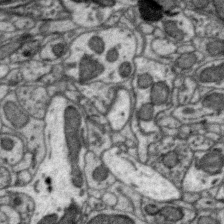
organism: Zebra finch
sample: Brain